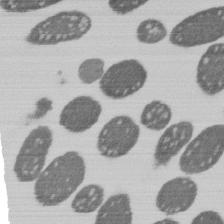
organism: E. coli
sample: Bacterial nucleoid